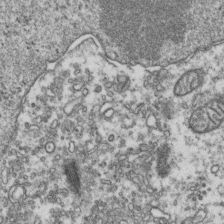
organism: Human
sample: Activated Jurkat CD4+ T cells